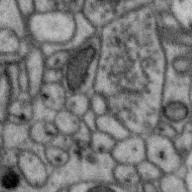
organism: Zebra finch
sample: Brain